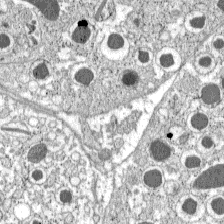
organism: C57BL Mouse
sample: Pancreatic islet